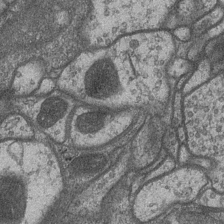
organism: Drosophila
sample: Optic medulla